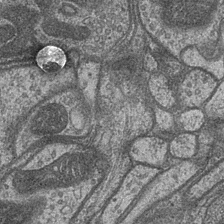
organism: Drosophila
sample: Optic medulla